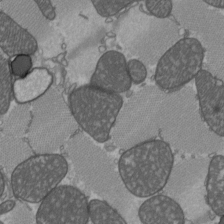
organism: C57BL Mouse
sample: Heart